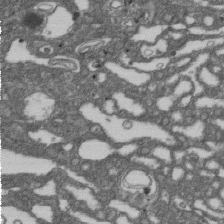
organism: Drosophila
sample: Nephrocyte